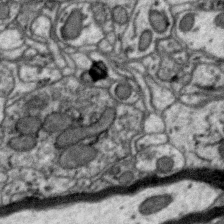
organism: Zebra finch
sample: Brain